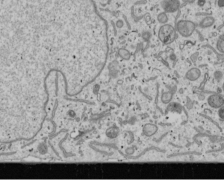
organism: Human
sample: Mitochondria in U2OS cells